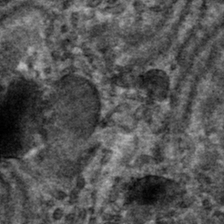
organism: Mouse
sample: Mouse hepatocytes